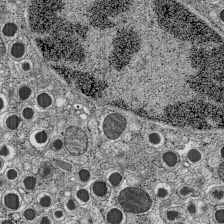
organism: C57BL Mouse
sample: Pancreatic islet